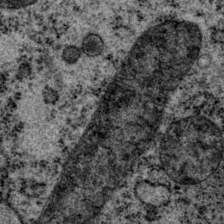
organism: P. pacificus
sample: Pharynx